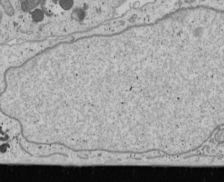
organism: Human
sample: Mitochondria in U2OS cells